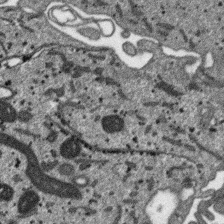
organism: Human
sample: Lung epithelial cells infected with SARS-CoV-2